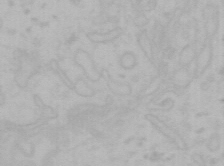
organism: Mouse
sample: Choroid plexus